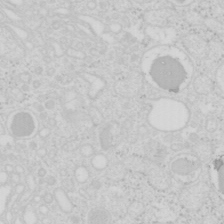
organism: Mouse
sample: Pancreas